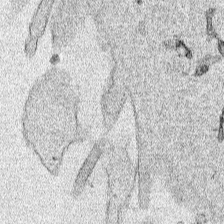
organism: Human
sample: Mitochondria in HCT116 cells